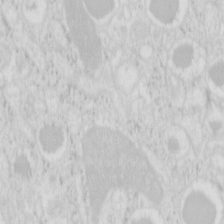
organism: Mouse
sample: Pancreas